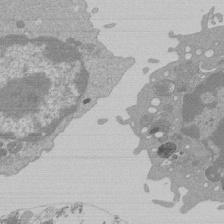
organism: Mouse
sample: Activated Pmel transgenic CD8+ T Cells